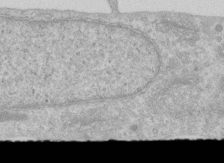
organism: Human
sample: Centriole in RPE cells